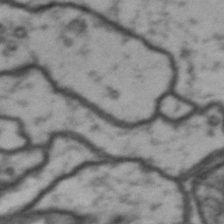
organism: Drosophila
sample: Brain